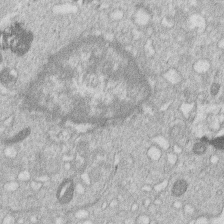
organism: Human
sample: Macrophage cells